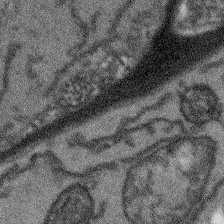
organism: Arabidopsis thaliana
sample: Root tip